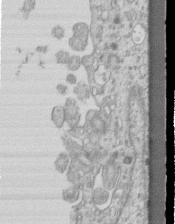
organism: Mouse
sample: Centriole in ependymal cells